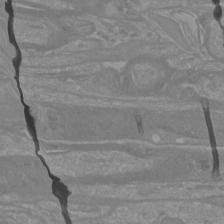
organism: Mouse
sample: Cortical neurons